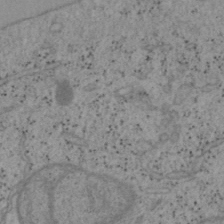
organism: Human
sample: HeLa cells